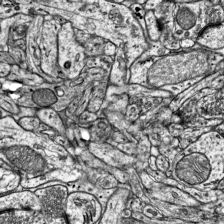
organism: Mouse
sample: Visual Cortex